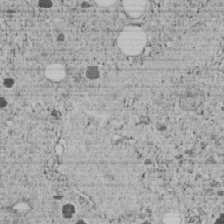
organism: C. elegans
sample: C. elegans embryo early stage